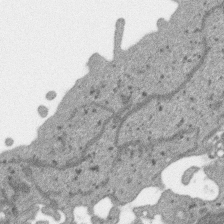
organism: Human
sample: Lung epithelial cells infected with SARS-CoV-2